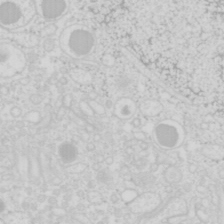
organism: Mouse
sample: Pancreas